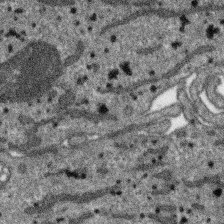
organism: Human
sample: Lung epithelial cells infected with SARS-CoV-2